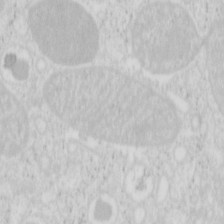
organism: Mouse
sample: Pancreas